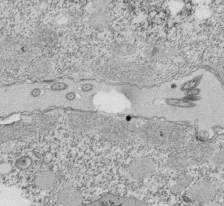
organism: Tetrahymena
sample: Cilia in tetrahymena